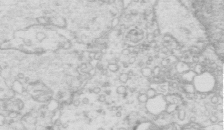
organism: Mouse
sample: Multiciliated cells